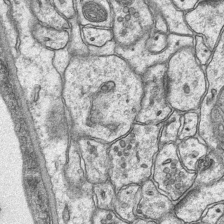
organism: Mouse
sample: CA1 Hippocampus